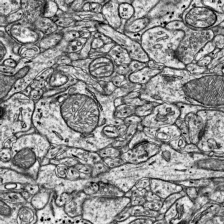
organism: Mouse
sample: Visual Cortex